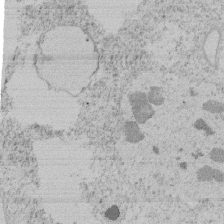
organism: Tetrahymena